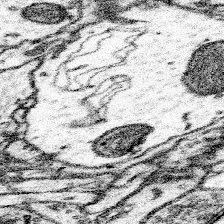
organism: Mouse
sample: Somatosensory cortex neuropil